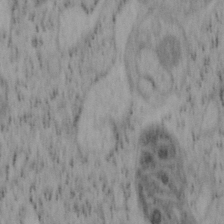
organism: Mouse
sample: OT-I killer T cells with ID8 ovarian cancer cells